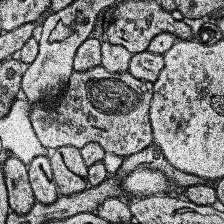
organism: Human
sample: Temporal Lobe